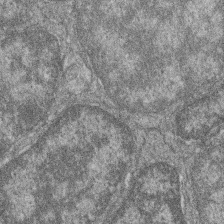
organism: Zebrafish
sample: Cilia; retinal pigment epithelium